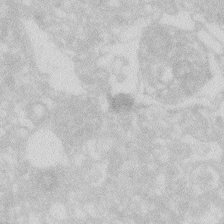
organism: Zebrafish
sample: Macrophage